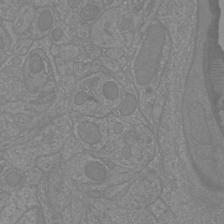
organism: Mouse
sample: Cortical neurons